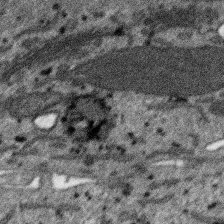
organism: Human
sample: Lung epithelial cells infected with SARS-CoV-2